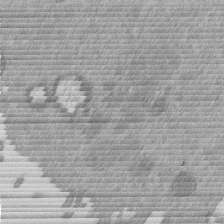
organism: Mouse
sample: Dividing mouse embryo 1 cell stage